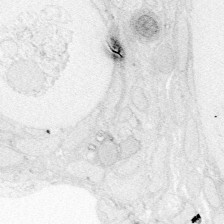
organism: Zebrafish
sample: Whole-Brain